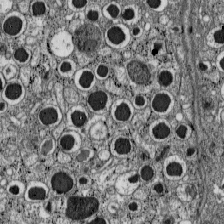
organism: C57BL Mouse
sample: Pancreatic islet